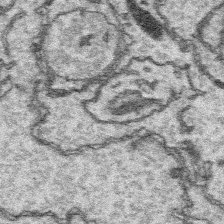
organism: Platynereis dumerilii